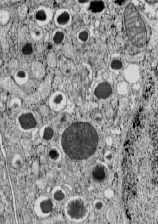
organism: C57BL Mouse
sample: Pancreatic islet